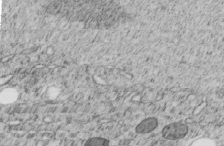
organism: C. elegans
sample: C. elegans embryo early stage